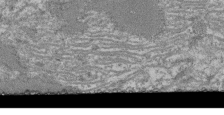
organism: Mouse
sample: Glomerulus